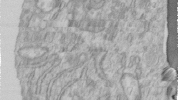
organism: Human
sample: Centriole in RPE cells